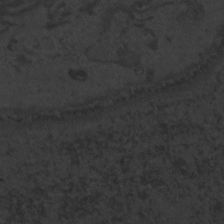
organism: Zebrafish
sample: Macrophage infected with Toxoplasma gondii